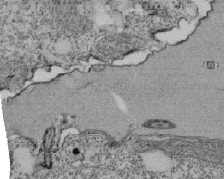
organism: Tetrahymena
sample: Cilia in tetrahymena